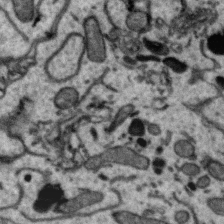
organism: Zebra finch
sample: Brain